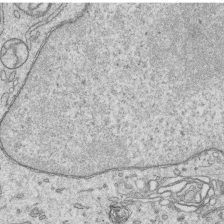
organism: Human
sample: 1205lu cells